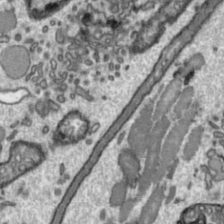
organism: Toxoplasma gondii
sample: Parasites in a vacuole inside a host cell